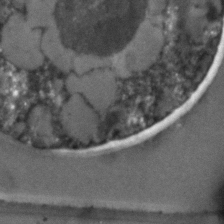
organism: C. elegans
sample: C. elegans embryo